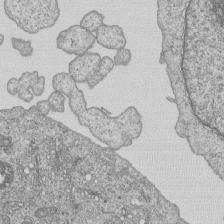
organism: Human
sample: MDA-MB-231 cells